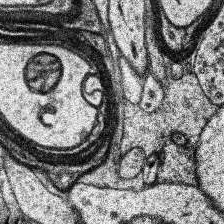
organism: Human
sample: Temporal Lobe